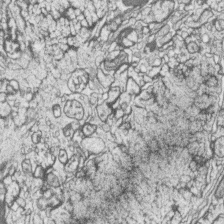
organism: Zebrafish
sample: synaptic ribbons in rod cells and cone cells